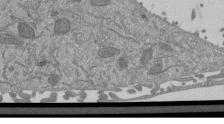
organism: Mouse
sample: ED-1 cell nuclei; centrioles